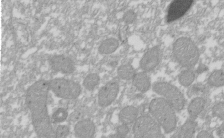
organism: Xenopus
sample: Cilia; centrioles in frog embryo cells